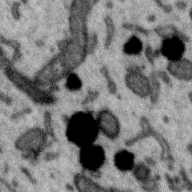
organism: Zebra finch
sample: Brain